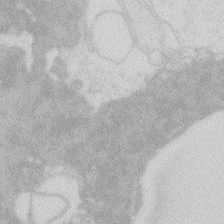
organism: Zebrafish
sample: Macrophage